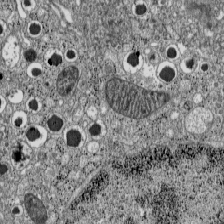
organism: C57BL Mouse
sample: Pancreatic islet